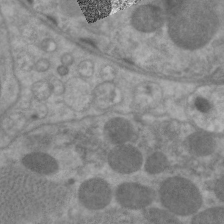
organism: C. elegans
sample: Pharynx